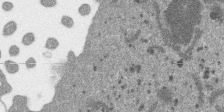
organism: Human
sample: Lung epithelial cells infected with SARS-CoV-2